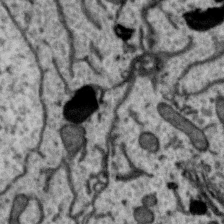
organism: Zebra finch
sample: Brain